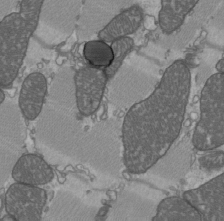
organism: C57BL Mouse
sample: Heart